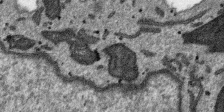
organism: Human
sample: Lung epithelial cells, uninfected (mock) control